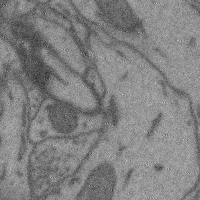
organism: Mouse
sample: Cerebral cortex